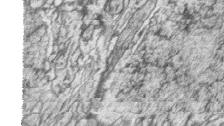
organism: Zebrafish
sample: synaptic ribbons in rod cells and cone cells